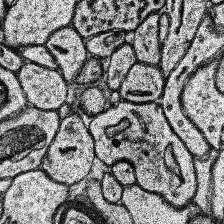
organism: Human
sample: Temporal Lobe